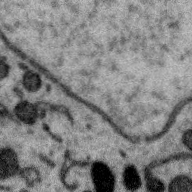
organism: Zebra finch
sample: Brain